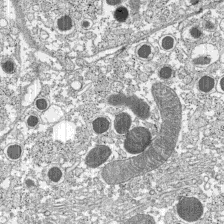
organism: C57BL Mouse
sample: Pancreatic islet